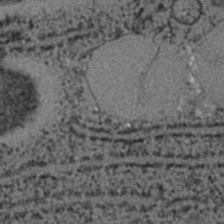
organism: C. elegans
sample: C. elegans embryo